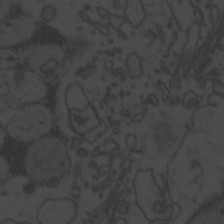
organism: Zebrafish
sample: Macrophage infected with Toxoplasma gondii